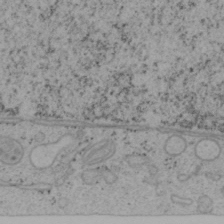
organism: Human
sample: HeLa cells